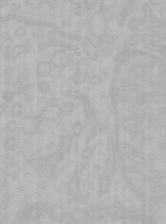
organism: Mouse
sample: Choroid plexus